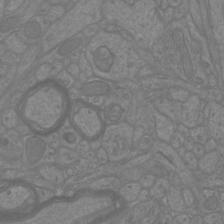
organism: Mouse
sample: Cortical neurons